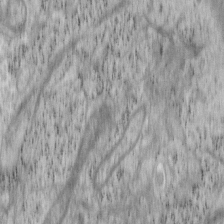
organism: Human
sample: HeLa cells